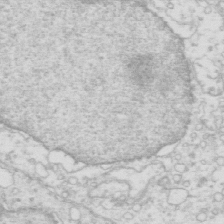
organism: Mouse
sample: Multiciliated cells